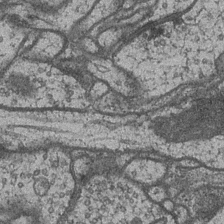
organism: Drosophila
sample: Optic medulla